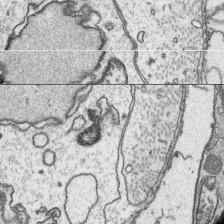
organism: Platynereis dumerilii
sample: Parapodia